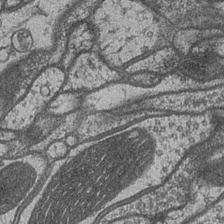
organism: Drosophila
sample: Optic medulla